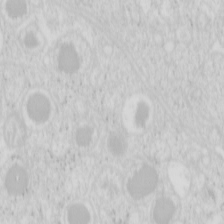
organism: Mouse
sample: Pancreas